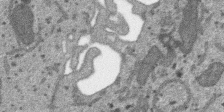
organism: Human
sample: Lung epithelial cells infected with SARS-CoV-2